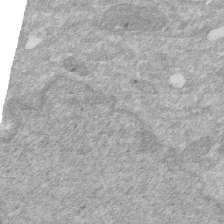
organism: Human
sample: HIV infected U937 cells